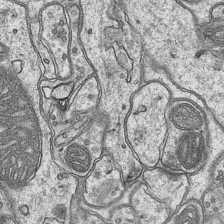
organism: Mouse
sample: CA1 Hippocampus